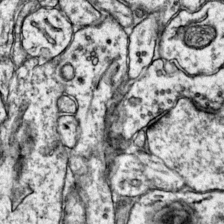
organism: Mouse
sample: Primary visual cortex